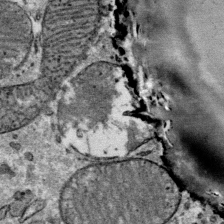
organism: Mouse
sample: Mouse Salivary gland